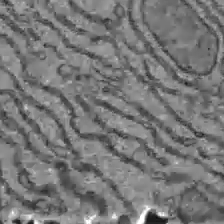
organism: C57BL Mouse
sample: Liver